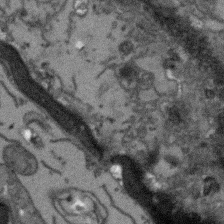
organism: Arabidopsis thaliana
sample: Root tip